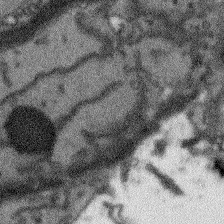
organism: Arabidopsis thaliana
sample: Root tip